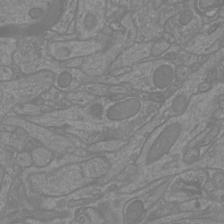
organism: Mouse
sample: Cortical neurons